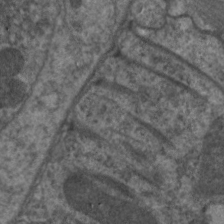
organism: C. elegans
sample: Pharynx